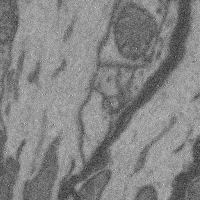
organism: Mouse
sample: Cerebral cortex